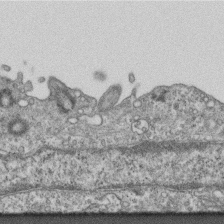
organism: Mouse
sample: Centriole in ependymal cells